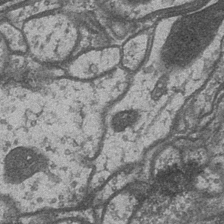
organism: Drosophila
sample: Optic medulla